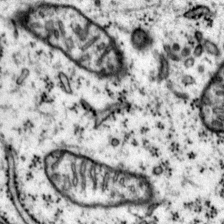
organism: Mouse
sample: Primary visual cortex